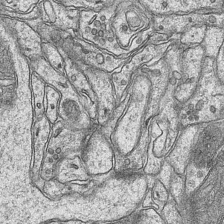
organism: Mouse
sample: CA1 Hippocampus